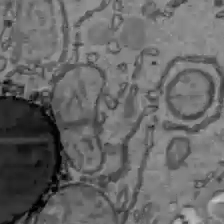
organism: C57BL Mouse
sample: Liver